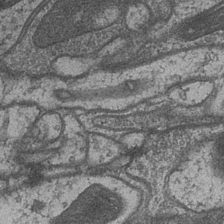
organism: Drosophila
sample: Optic medulla